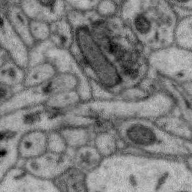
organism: Zebra finch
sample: Brain